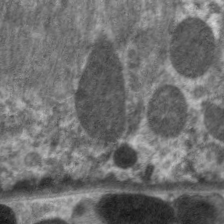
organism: C. elegans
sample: Pharynx